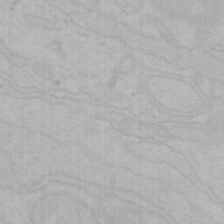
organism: Mouse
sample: Choroid plexus